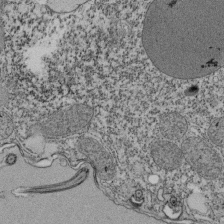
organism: Tetrahymena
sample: Cilia in tetrahymena